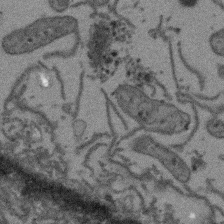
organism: Arabidopsis thaliana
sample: Root tip